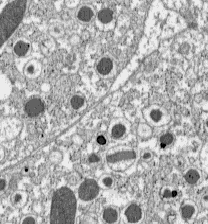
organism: C57BL Mouse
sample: Pancreatic islet